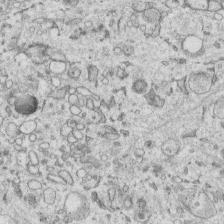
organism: Human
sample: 1205lu cells